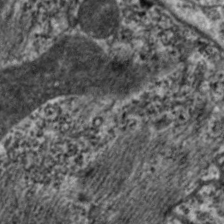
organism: C. elegans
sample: Pharynx